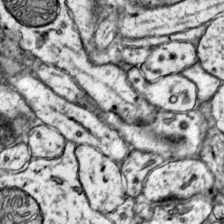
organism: Mouse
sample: Primary visual cortex